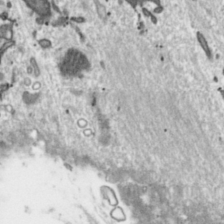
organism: Toxoplasma gondii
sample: Parasites in a vacuole inside a host cell